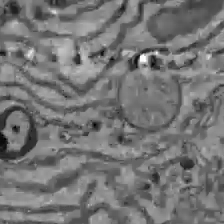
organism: C57BL Mouse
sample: Liver